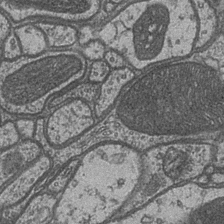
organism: Drosophila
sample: Optic medulla